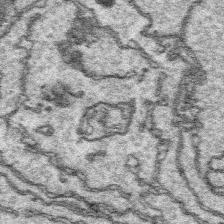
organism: Platynereis dumerilii